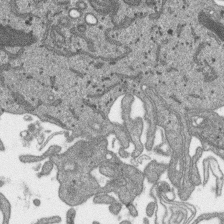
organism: Human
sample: Lung epithelial cells infected with SARS-CoV-2